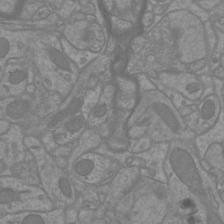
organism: Mouse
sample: Cortical neurons